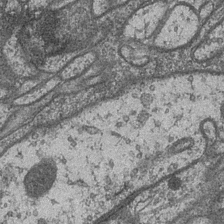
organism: Drosophila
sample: Optic medulla